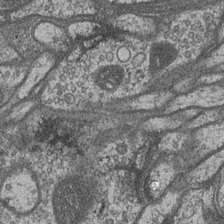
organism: Drosophila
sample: Optic medulla